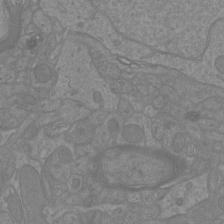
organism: Mouse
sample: Cortical neurons